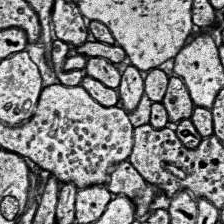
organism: Human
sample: Temporal Lobe